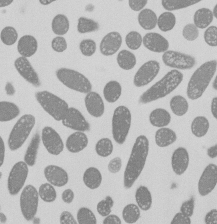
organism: E. coli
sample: Bacterial nucleoid